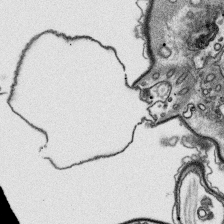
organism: Platynereis dumerilii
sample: Parapodia